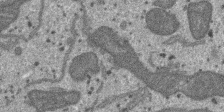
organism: Human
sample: Lung epithelial cells infected with SARS-CoV-2